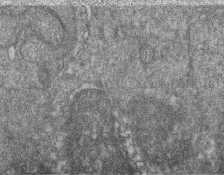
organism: Zebrafish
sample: Cilia; retinal pigment epithelium